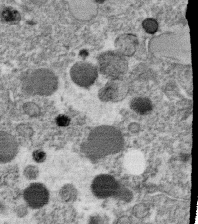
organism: C. elegans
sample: C. elegans oocyte; sperm cells